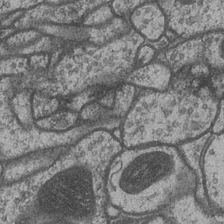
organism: Drosophila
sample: Optic medulla